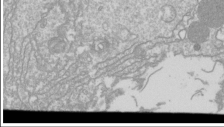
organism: Drosophila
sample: Cell division; meiosis; drosophila spermatocytes